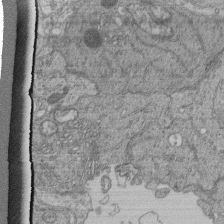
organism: Human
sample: Retinal organoid Rod and Cone cells